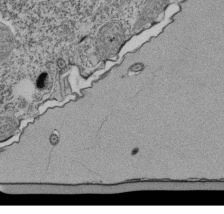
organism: Tetrahymena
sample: Cilia in tetrahymena